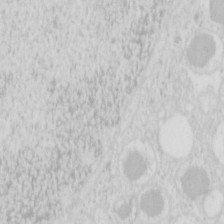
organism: Mouse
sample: Pancreas